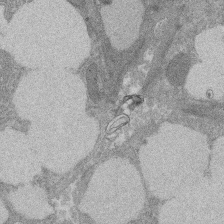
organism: Rat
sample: Salivary granule